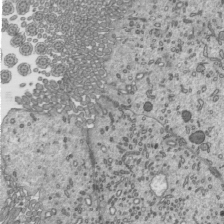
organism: Mouse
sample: Mouse epididymis efferent ductule cilia